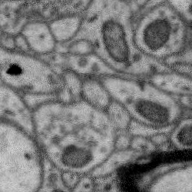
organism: Zebra finch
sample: Brain